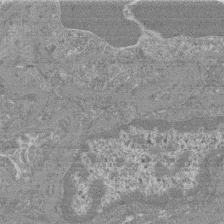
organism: Mouse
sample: Glomerulus